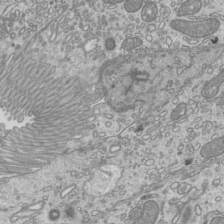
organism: Mouse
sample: Cilia; mouse epididymis